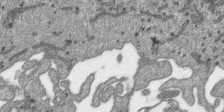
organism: Human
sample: Lung epithelial cells infected with SARS-CoV-2